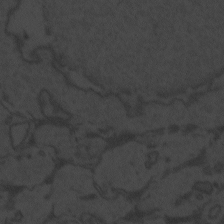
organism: Zebrafish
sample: Macrophage infected with Toxoplasma gondii